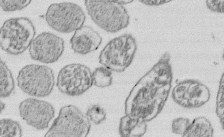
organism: E. coli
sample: Bacterial nucleoid